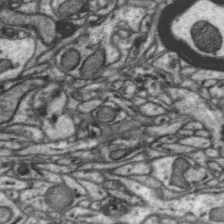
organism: Zebra finch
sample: Brain